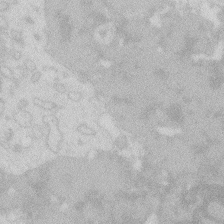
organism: Zebrafish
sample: Macrophage